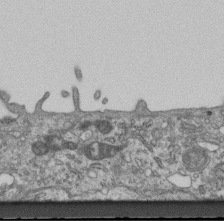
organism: Mouse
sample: Centriole in ependymal cells